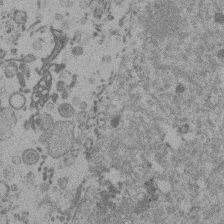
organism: Mouse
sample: Dividing mouse embryo 1 cell stage